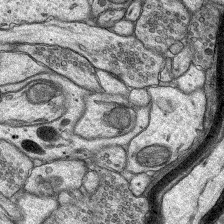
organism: Rat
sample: Hippocampus